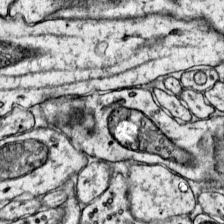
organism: Mouse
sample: Primary visual cortex